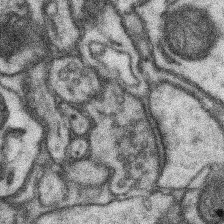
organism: Mouse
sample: Somatosensory cortex neuropil